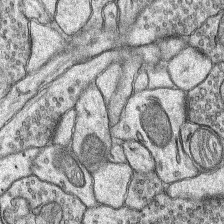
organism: Rat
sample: Hippocampus